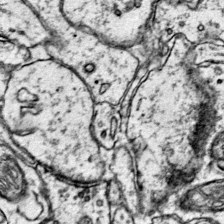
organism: Mouse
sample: Primary visual cortex